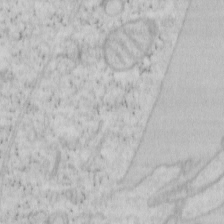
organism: Human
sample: HeLa cells